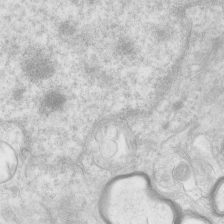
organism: Human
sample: Neocortex